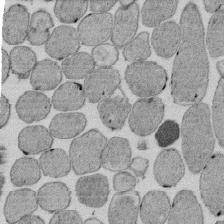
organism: E. coli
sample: Bacterial nucleoid